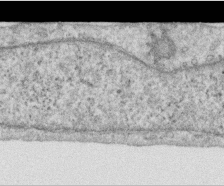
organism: Human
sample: Centriole in RPE cells